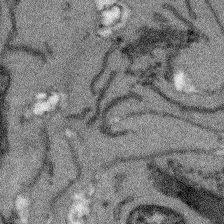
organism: Arabidopsis thaliana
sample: Root tip